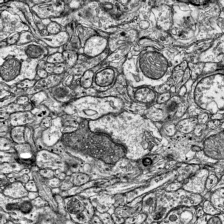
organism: Mouse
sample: Visual Cortex